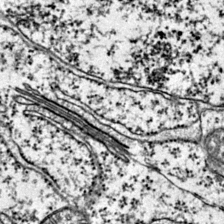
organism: Mouse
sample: Primary visual cortex